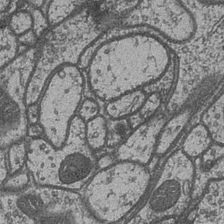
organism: Drosophila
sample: Optic medulla